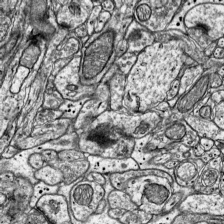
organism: Mouse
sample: Visual Cortex